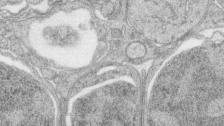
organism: Zebrafish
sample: synaptic ribbons in rod cells and cone cells